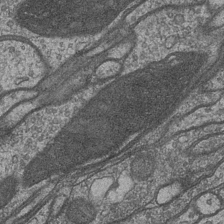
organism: Drosophila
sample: Optic medulla